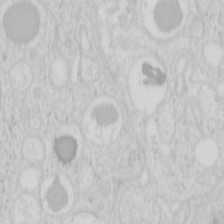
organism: Mouse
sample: Pancreas